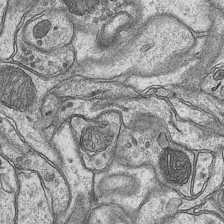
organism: Mouse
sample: CA1 Hippocampus